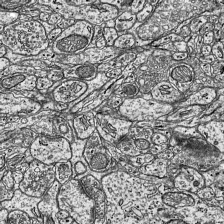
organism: Mouse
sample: Visual Cortex